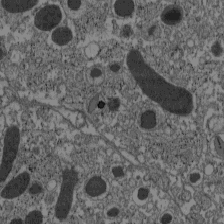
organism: C57BL Mouse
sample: Pancreatic islet